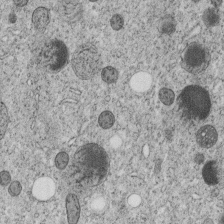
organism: C. elegans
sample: C. elegans embryo early stage